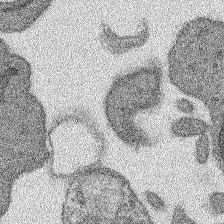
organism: Human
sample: HeLa cells